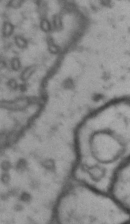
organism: Drosophila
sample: Brain